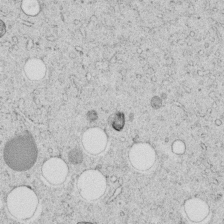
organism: C. elegans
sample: C. elegans embryo early stage